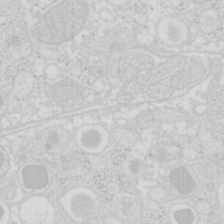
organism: Mouse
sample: Pancreas